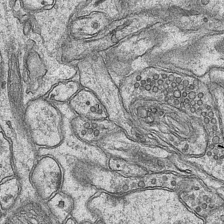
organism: Mouse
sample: CA1 Hippocampus